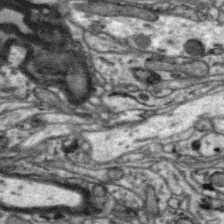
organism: Zebra finch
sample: Brain